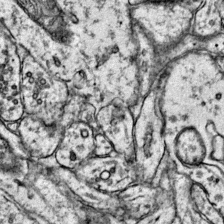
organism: Mouse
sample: Primary visual cortex